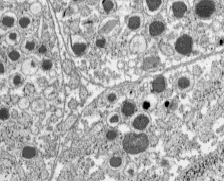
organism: C57BL Mouse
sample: Pancreatic islet